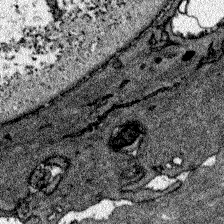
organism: Zebrafish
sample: Larval olfactory bulb